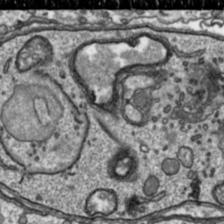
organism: Toxoplasma gondii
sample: Parasites in a vacuole inside a host cell